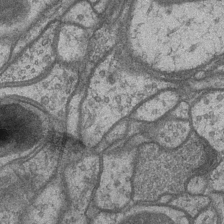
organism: Drosophila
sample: Optic medulla